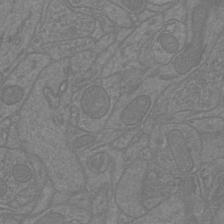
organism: Mouse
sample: Cortical neurons